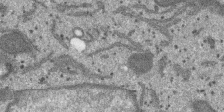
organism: Human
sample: Lung epithelial cells infected with SARS-CoV-2